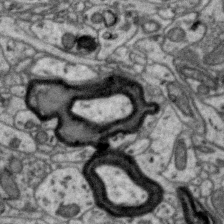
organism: Zebra finch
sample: Brain